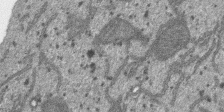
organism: Human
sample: Lung epithelial cells infected with SARS-CoV-2